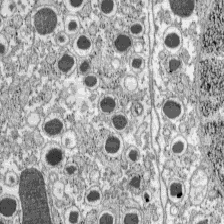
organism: C57BL Mouse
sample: Pancreatic islet